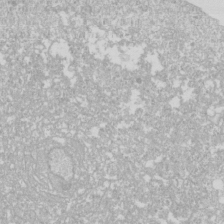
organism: Drosophila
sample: Cell division; meiosis; drosophila spermatocytes